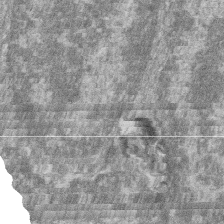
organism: Zebrafish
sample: Cilia; retinal pigment epithelium